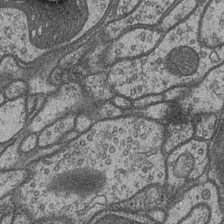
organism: Drosophila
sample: Optic medulla